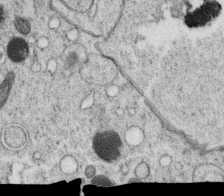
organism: C. elegans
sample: C. elegans oocyte; sperm cells